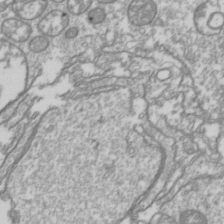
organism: Drosophila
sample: Cell division; meiosis; drosophila spermatocytes